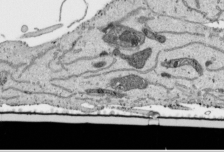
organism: Human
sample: Mitochondria in HCT116 cells